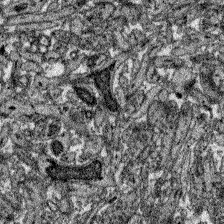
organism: Zebrafish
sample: Larval olfactory bulb